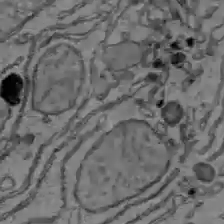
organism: C57BL Mouse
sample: Liver